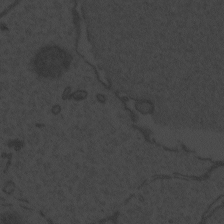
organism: Zebrafish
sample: Macrophage infected with Toxoplasma gondii